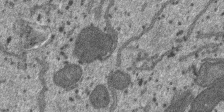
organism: Human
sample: Lung epithelial cells infected with SARS-CoV-2